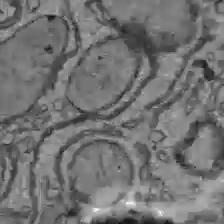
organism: C57BL Mouse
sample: Liver